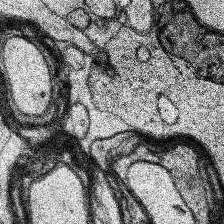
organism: Human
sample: Temporal Lobe